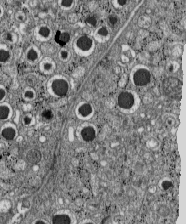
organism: C57BL Mouse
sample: Pancreatic islet